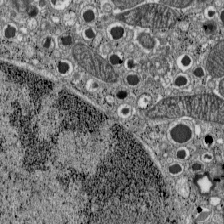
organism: C57BL Mouse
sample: Pancreatic islet